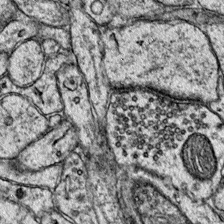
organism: Mouse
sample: Primary visual cortex